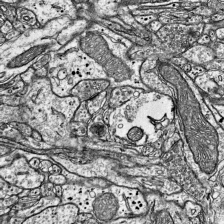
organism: Mouse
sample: Visual Cortex